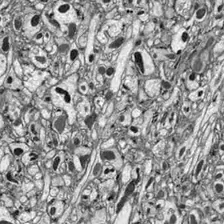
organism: Drosophila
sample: Optic lobe